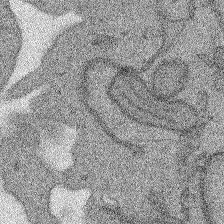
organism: Human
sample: HeLa cells